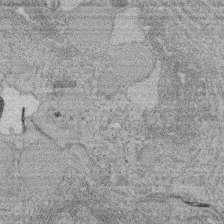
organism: Rat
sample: Salivary granule